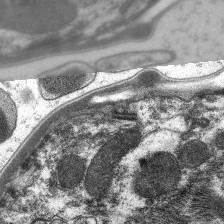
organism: C. elegans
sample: Pharynx